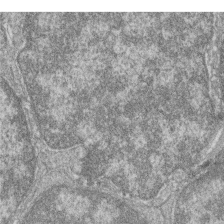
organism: Zebrafish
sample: Cilia; retinal pigment epithelium